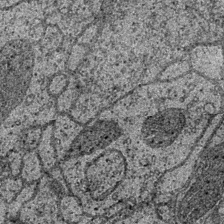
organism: Drosophila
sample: Optic medulla